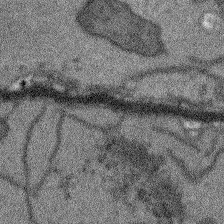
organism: Arabidopsis thaliana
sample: Root tip